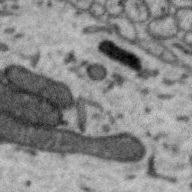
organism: Zebra finch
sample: Brain